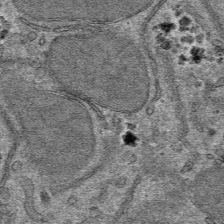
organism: Mouse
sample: Mouse hepatocytes